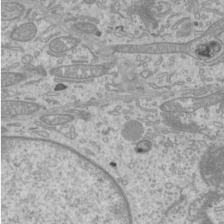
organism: Mouse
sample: Cilia; mouse epididymis